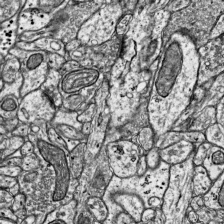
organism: Mouse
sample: Visual Cortex